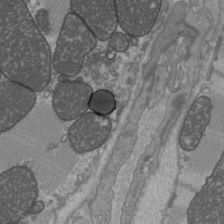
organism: C57BL Mouse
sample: Heart